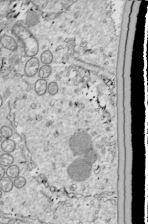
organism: Drosophila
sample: Cell division; meiosis; drosophila spermatocytes